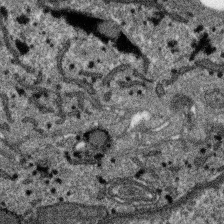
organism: Human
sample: Lung epithelial cells infected with SARS-CoV-2